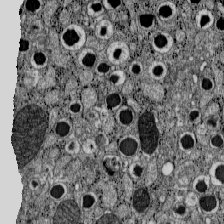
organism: C57BL Mouse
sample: Pancreatic islet